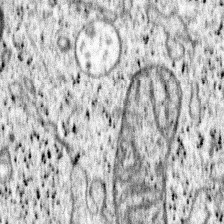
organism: Human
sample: HeLa cells